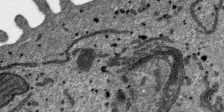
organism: Human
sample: Lung epithelial cells, uninfected (mock) control